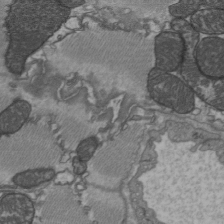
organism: C57BL Mouse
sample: Heart